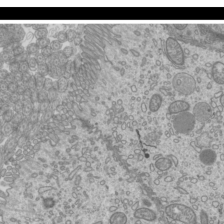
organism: Mouse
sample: Cilia; mouse epididymis